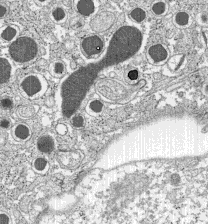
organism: C57BL Mouse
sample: Pancreatic islet